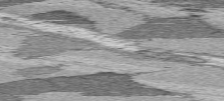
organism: C57BL Mouse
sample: Heart